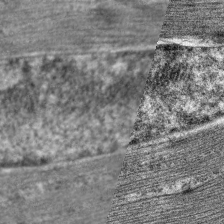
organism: C. elegans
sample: Pharynx